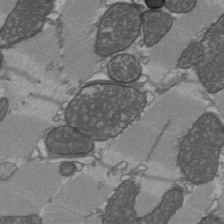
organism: C57BL Mouse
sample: Heart